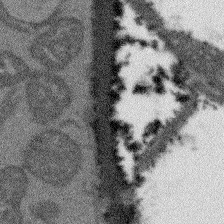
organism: Arabidopsis thaliana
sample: Root tip